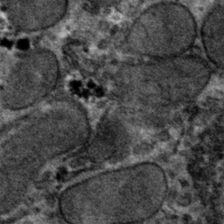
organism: Mouse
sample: Mouse hepatocytes